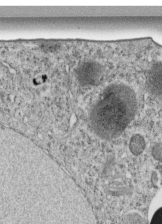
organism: C. elegans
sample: C. elegans embryo early stage